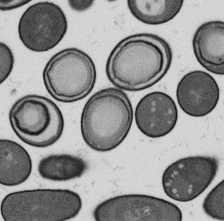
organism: B. subtilis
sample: Bacterial spore